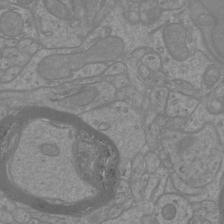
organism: Mouse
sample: Cortical neurons